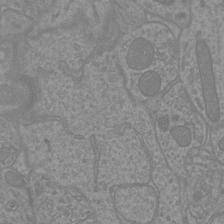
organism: Mouse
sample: Cortical neurons